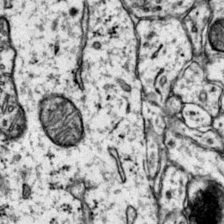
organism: Mouse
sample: Primary visual cortex